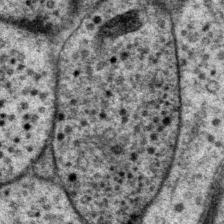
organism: P. pacificus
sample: Pharynx